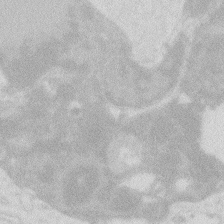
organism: Zebrafish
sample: Macrophage